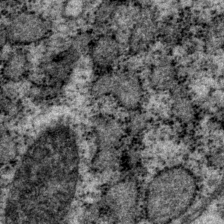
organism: P. pacificus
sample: Pharynx